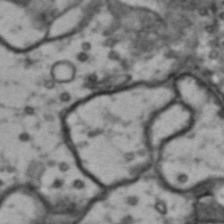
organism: Drosophila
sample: Brain